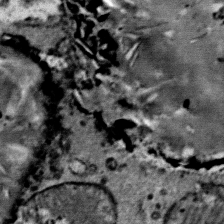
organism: Mouse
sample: Mouse Salivary gland